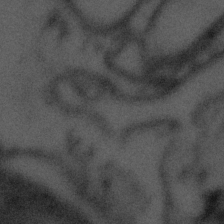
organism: Tuwongella immobilis